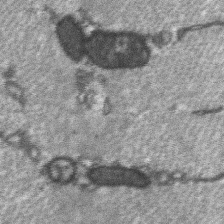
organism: C57BL Mouse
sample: Soleus